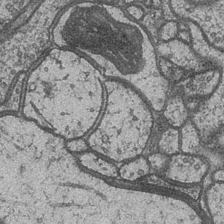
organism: Drosophila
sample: Optic medulla